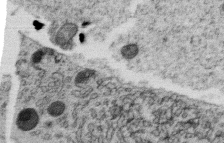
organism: C. elegans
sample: C. elegans oocyte; sperm cells